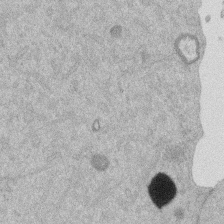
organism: Mouse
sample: Dividing mouse embryo 1 cell stage